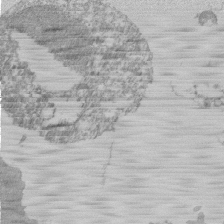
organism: Mouse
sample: Activated Pmel transgenic CD8+ T Cells